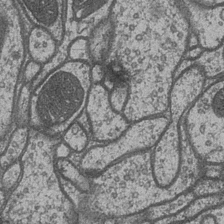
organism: Drosophila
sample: Optic medulla